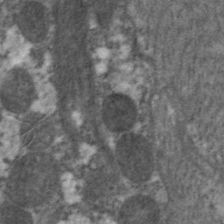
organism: C. elegans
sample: Pharynx